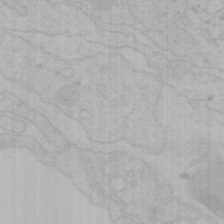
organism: Mouse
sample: Choroid plexus